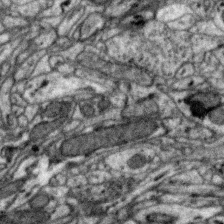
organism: Zebra finch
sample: Brain